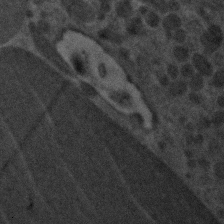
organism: Zebrafish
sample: Zebrafish embryo